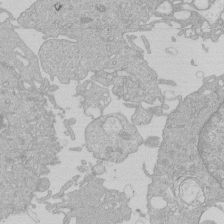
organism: Human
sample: Macrophage cells